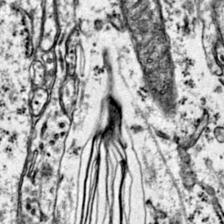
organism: Mouse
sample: Primary visual cortex